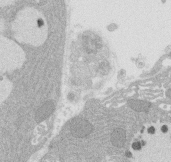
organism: Rat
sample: Salivary granule